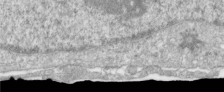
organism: Human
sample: Centriole in RPE cells